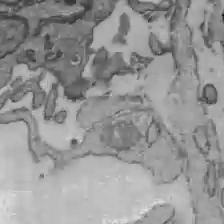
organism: C57BL Mouse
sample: Liver